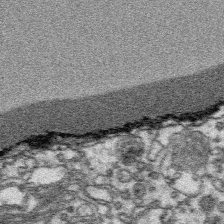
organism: Platynereis dumerilii